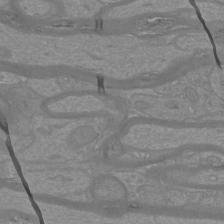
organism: Mouse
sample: Cortical neurons